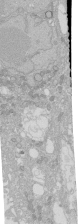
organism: Human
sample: Caco-2 cells